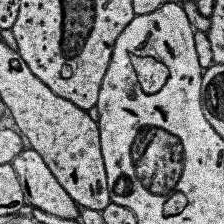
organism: Human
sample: Temporal Lobe